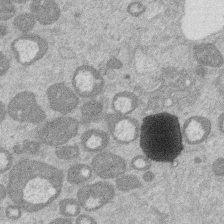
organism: Mouse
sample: Dividing mouse embryo 1 cell stage